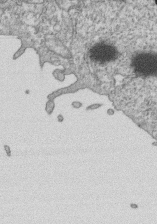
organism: Human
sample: HeLa cell HIV synapse